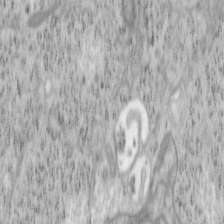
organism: Human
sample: HeLa cells